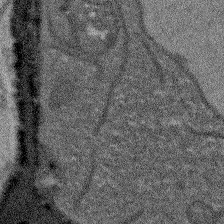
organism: Arabidopsis thaliana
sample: Root tip